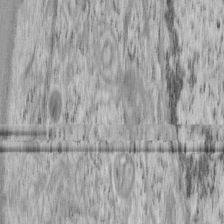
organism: Human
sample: HeLa cells